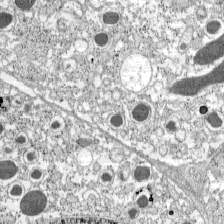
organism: C57BL Mouse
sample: Pancreatic islet